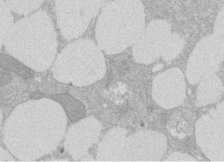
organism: Rat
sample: Salivary granule